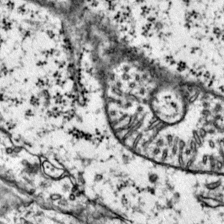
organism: Mouse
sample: Primary visual cortex